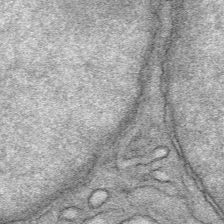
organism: Mouse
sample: Mouse Salivary gland